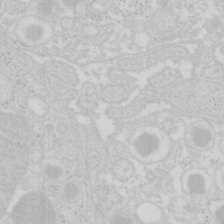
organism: Mouse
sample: Pancreas